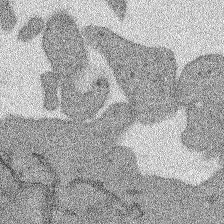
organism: Human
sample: HeLa cells